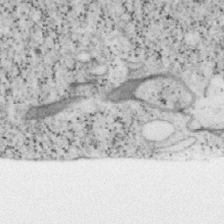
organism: Mouse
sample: OT-I killer T cells with ID8 ovarian cancer cells